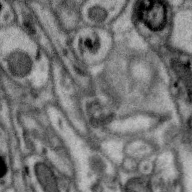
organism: Zebra finch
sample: Brain